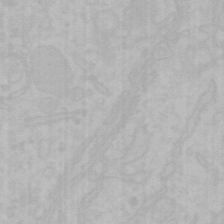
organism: Mouse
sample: Choroid plexus